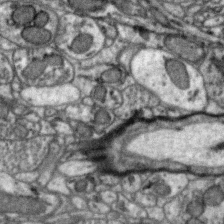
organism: Zebra finch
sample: Brain